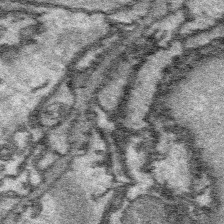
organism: Platynereis dumerilii